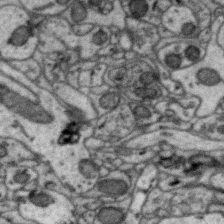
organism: Zebra finch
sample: Brain